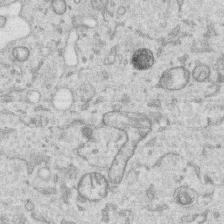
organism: Human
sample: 1205lu cells